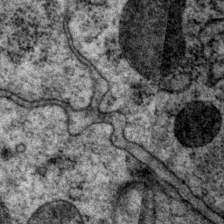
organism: P. pacificus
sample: Pharynx